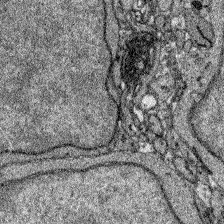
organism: Zebrafish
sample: Larval olfactory bulb